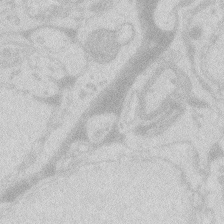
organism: Zebrafish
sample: Macrophage